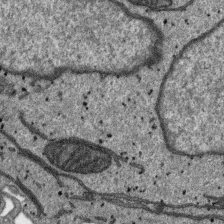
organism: Human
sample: Lung epithelial cells, uninfected (mock) control